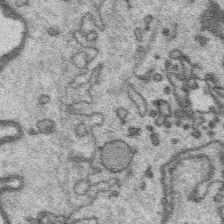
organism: Platynereis dumerilii